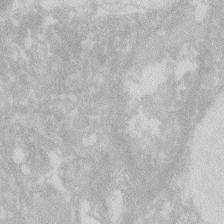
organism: Zebrafish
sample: Macrophage